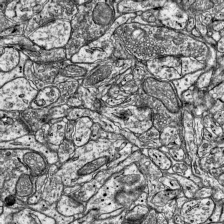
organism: Mouse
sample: Visual Cortex